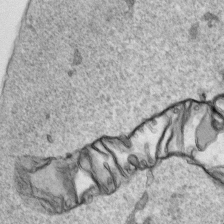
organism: Human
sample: Mitochondria in HCT116 cells